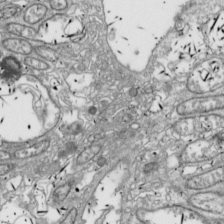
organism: Drosophila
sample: Cell division; meiosis; drosophila spermatocytes